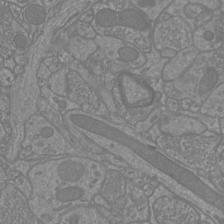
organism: Mouse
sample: Cortical neurons